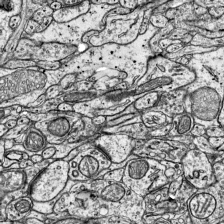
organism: Mouse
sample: Visual Cortex